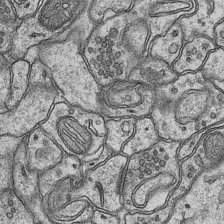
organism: Mouse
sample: CA1 Hippocampus